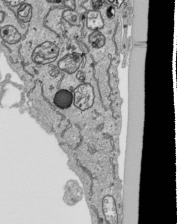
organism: Human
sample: Mitochondria in HCT116 cells